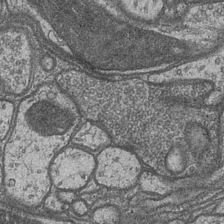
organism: Drosophila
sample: Optic medulla